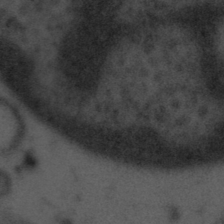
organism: Tuwongella immobilis